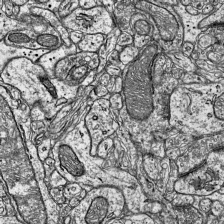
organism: Mouse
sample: Visual Cortex